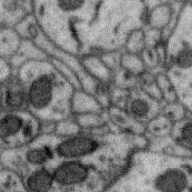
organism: Zebra finch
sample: Brain